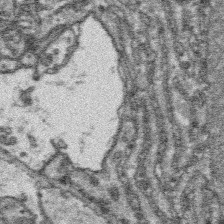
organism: Platynereis dumerilii